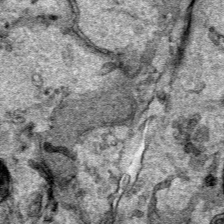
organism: Human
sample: Mitochondria in HCT116 cells